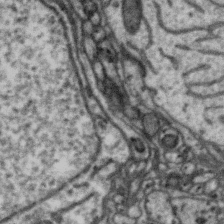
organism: Zebra finch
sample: Brain